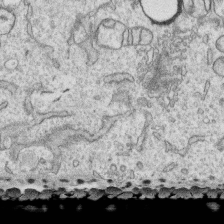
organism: Human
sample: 1205lu cells